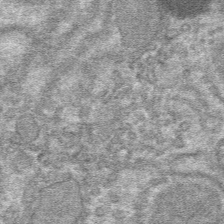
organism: Mouse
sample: Mouse hepatocytes